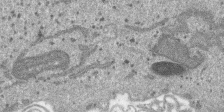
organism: Human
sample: Lung epithelial cells infected with SARS-CoV-2